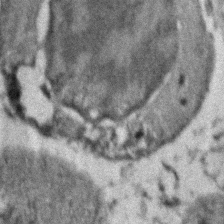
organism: Zebrafish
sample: Zebrafish embryo